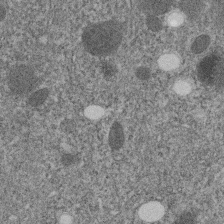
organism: C. elegans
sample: C. elegans embryo early stage